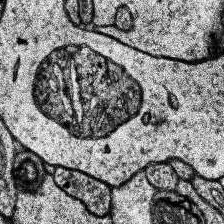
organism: Human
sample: Temporal Lobe